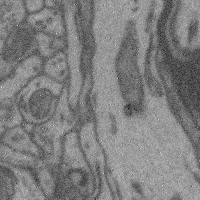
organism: Mouse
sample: Cerebral cortex